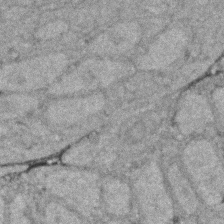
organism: Zebrafish